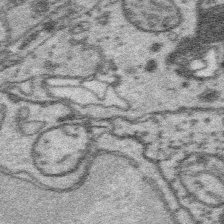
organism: Platynereis dumerilii